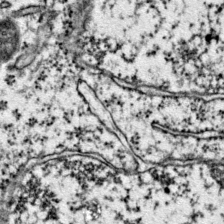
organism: Mouse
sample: Primary visual cortex